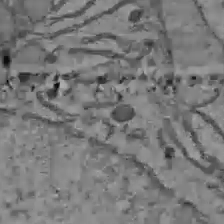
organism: C57BL Mouse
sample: Liver